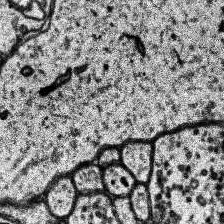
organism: Human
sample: Temporal Lobe